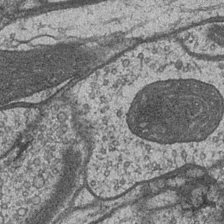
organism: Drosophila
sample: Optic medulla